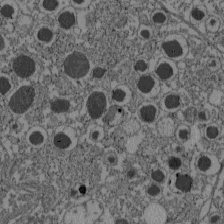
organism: C57BL Mouse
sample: Pancreatic islet